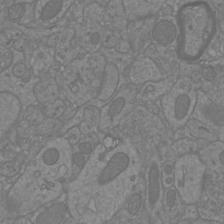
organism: Mouse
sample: Cortical neurons